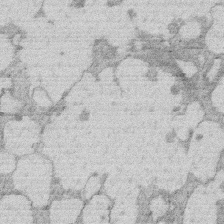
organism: Rat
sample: Salivary granule